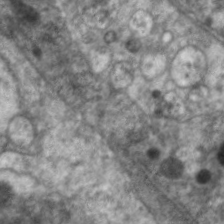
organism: C. elegans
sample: Pharynx